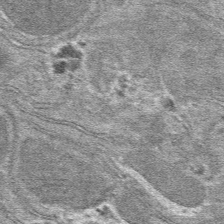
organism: Mouse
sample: Mouse hepatocytes